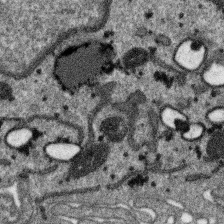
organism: Human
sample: Lung epithelial cells infected with SARS-CoV-2